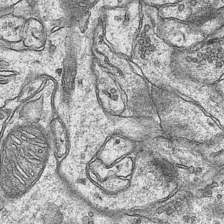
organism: Mouse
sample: CA1 Hippocampus